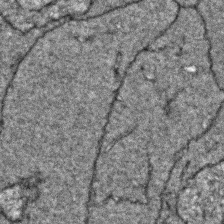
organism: Zebrafish